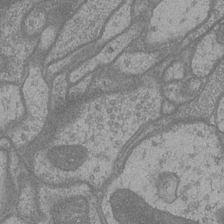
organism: Drosophila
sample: Optic medulla